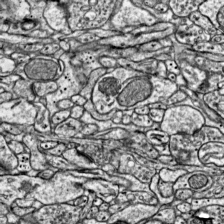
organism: Mouse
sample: Visual Cortex